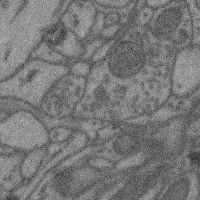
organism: Mouse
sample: Cerebral cortex